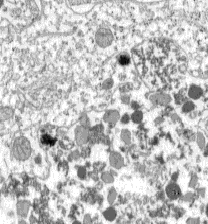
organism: C57BL Mouse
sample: Pancreatic islet